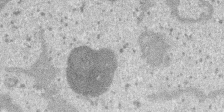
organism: Human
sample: Lung epithelial cells infected with SARS-CoV-2